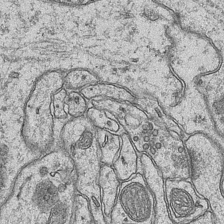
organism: Mouse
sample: CA1 Hippocampus